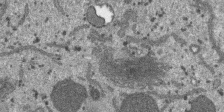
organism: Human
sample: Lung epithelial cells infected with SARS-CoV-2